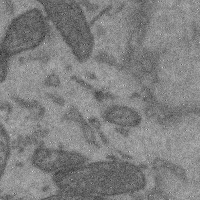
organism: Mouse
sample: Cerebral cortex